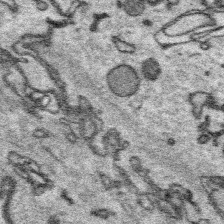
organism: Platynereis dumerilii